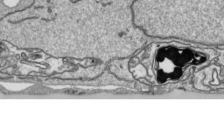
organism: Human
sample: Mitochondria in HCT116 cells